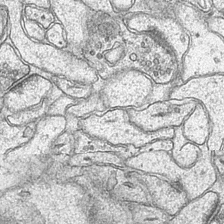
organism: Mouse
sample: CA1 Hippocampus